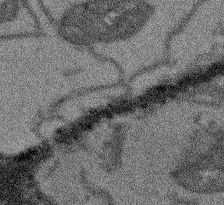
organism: Arabidopsis thaliana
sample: Root tip